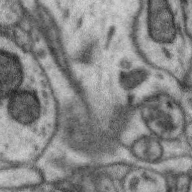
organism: Zebra finch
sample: Brain